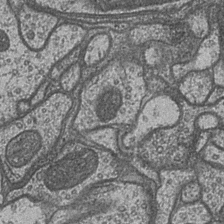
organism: Drosophila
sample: Optic medulla